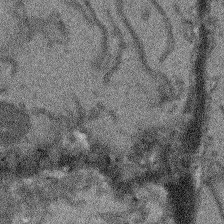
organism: Arabidopsis thaliana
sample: Root tip